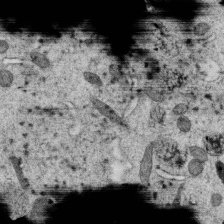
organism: C. elegans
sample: C. elegans oocyte; sperm cells